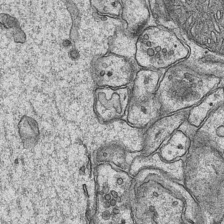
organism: Mouse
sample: CA1 Hippocampus